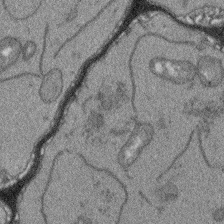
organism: Arabidopsis thaliana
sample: Root tip